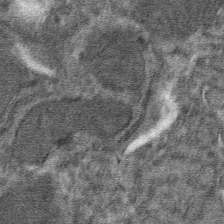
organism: Mouse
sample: Mouse hepatocytes